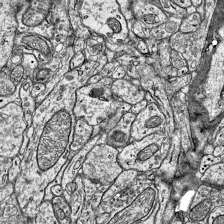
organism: Mouse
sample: Visual Cortex